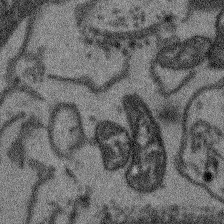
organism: Arabidopsis thaliana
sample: Root tip